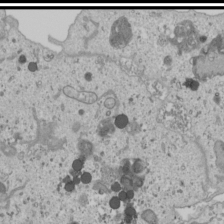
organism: Human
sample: Mitochondria in U2OS cells